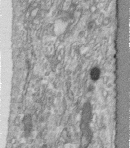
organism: Human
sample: Centriole in fibroblast cells